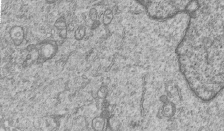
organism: Human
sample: MDA-MB-231 cells